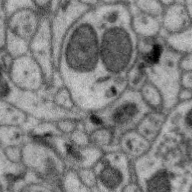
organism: Zebra finch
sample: Brain